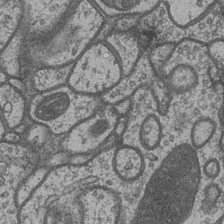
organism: Drosophila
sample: Optic medulla